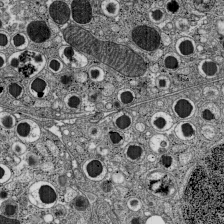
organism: C57BL Mouse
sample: Pancreatic islet